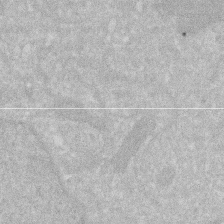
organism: Human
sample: HIV infected U937 cells